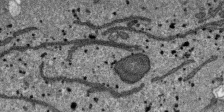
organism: Human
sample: Lung epithelial cells, uninfected (mock) control